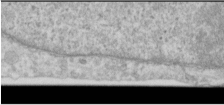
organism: Human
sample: Cilia; basal body in RPE cells